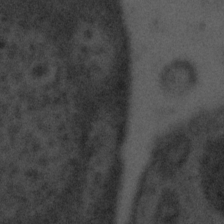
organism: Tuwongella immobilis